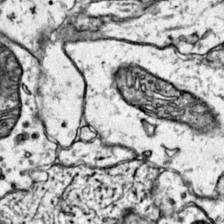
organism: Mouse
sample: Primary visual cortex